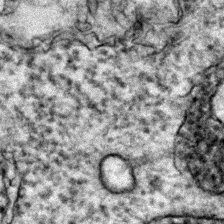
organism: Zebrafish